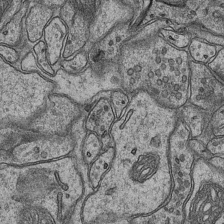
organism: Mouse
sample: CA1 Hippocampus